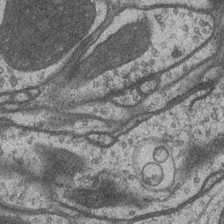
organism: Drosophila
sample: Optic medulla